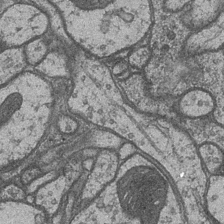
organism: Drosophila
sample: Optic medulla